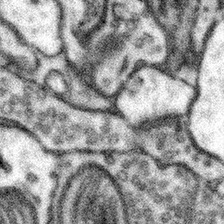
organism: Mouse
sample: Somatosensory cortex neuropil